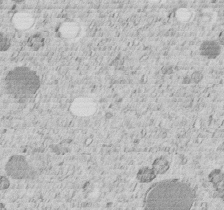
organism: C. elegans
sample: C. elegans embryo early stage